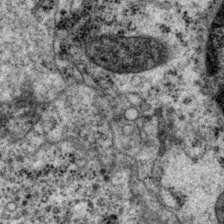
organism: P. pacificus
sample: Pharynx